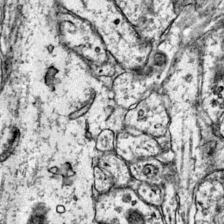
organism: Mouse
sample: Primary visual cortex